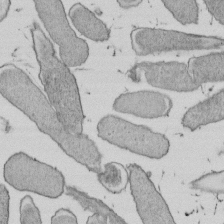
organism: E. coli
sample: Bacterial nucleoid